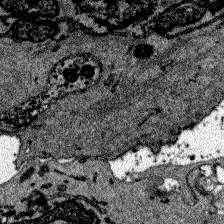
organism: Zebrafish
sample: Larval olfactory bulb